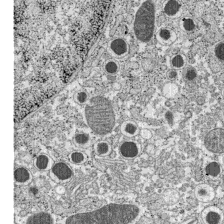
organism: C57BL Mouse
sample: Pancreatic islet